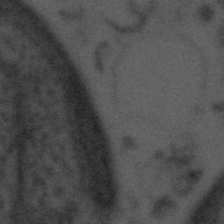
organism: Tuwongella immobilis